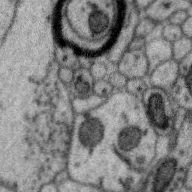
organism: Zebra finch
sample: Brain